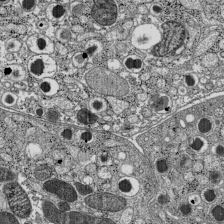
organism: C57BL Mouse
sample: Pancreatic islet